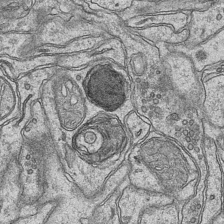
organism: Mouse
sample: CA1 Hippocampus